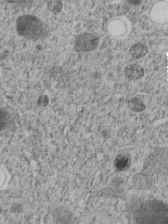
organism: C. elegans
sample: C. elegans embryo early stage